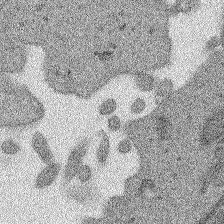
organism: Human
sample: HeLa cells